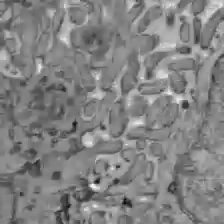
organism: C57BL Mouse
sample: Liver